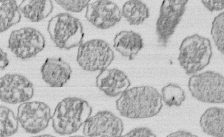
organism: E. coli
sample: Bacterial nucleoid